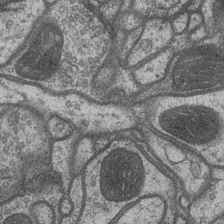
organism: Drosophila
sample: Optic medulla